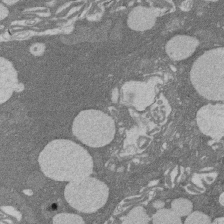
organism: Rat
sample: Salivary granule